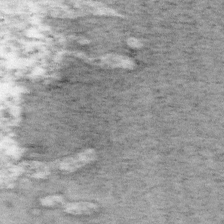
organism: Mouse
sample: OT-I killer T cells with ID8 ovarian cancer cells